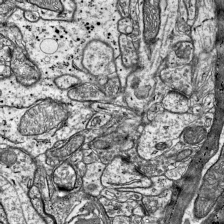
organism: Mouse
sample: Visual Cortex